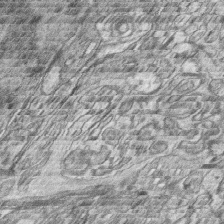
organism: Zebrafish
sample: synaptic ribbons in rod cells and cone cells